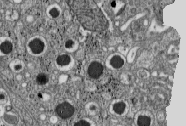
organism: C57BL Mouse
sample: Pancreatic islet